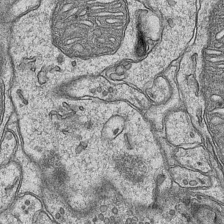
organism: Mouse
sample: CA1 Hippocampus